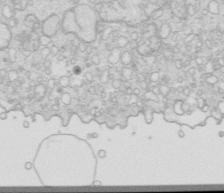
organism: Mouse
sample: Multiciliated cells